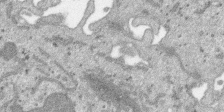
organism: Human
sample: Lung epithelial cells infected with SARS-CoV-2